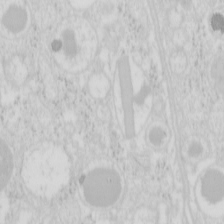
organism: Mouse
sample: Pancreas